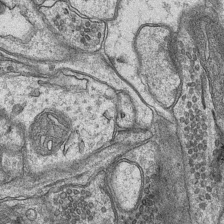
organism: Mouse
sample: CA1 Hippocampus